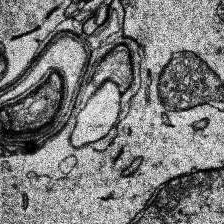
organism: Human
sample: Temporal Lobe